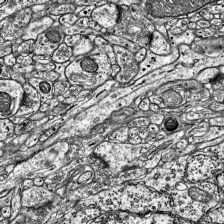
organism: Mouse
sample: Visual Cortex